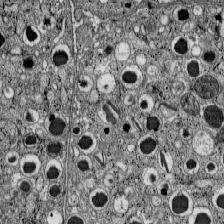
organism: C57BL Mouse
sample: Pancreatic islet